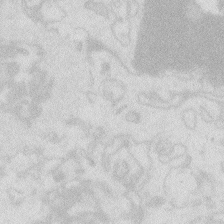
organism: Zebrafish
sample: Macrophage